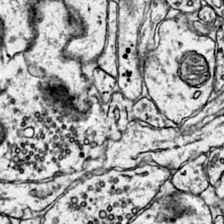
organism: Mouse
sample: Primary visual cortex